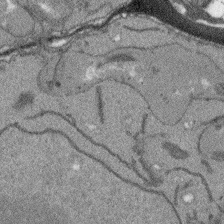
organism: Arabidopsis thaliana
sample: Root tip